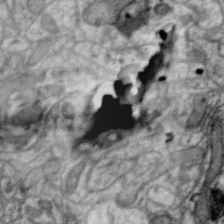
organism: Zebra finch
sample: Brain